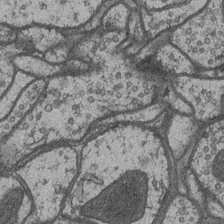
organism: Drosophila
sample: Optic medulla